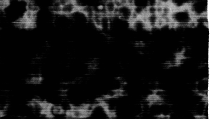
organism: Human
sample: HIV infected U937 cells